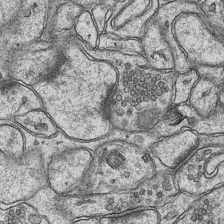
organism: Mouse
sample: CA1 Hippocampus